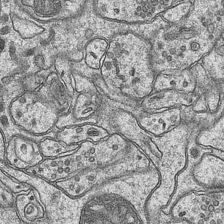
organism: Mouse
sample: CA1 Hippocampus